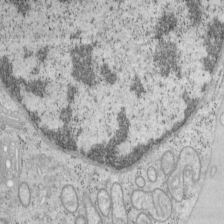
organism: Mouse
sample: OT-I killer T cells with ID8 ovarian cancer cells